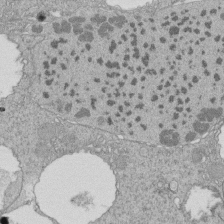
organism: Tetrahymena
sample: Cilia in tetrahymena